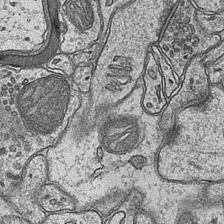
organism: Mouse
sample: CA1 Hippocampus